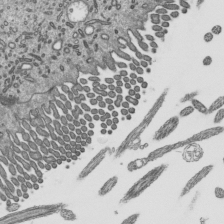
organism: Mouse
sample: Mouse epididymis efferent ductule cilia